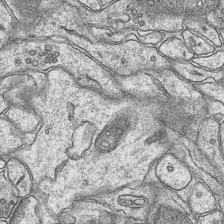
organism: Mouse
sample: CA1 Hippocampus